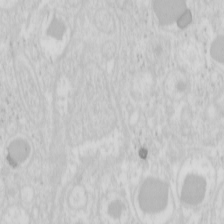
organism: Mouse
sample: Pancreas